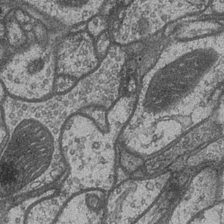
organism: Drosophila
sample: Optic medulla